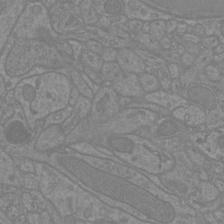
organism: Mouse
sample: Cortical neurons